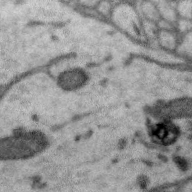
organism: Zebra finch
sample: Brain